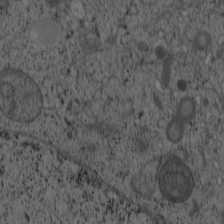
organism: African green monkey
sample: COS-7 cells